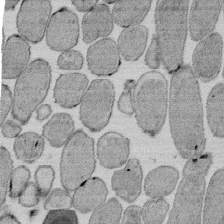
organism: E. coli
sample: Bacterial nucleoid